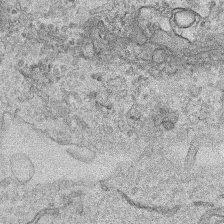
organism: Human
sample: Mitochondria in HCT116 cells